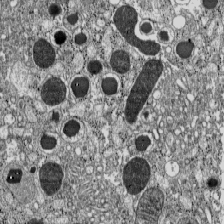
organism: C57BL Mouse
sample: Pancreatic islet